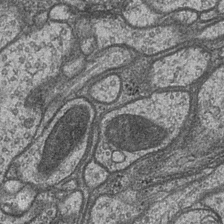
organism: Drosophila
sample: Optic medulla